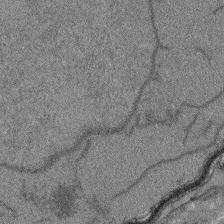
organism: Arabidopsis thaliana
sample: Root tip